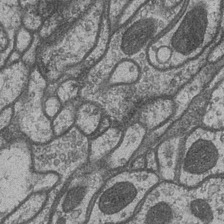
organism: Drosophila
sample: Optic medulla